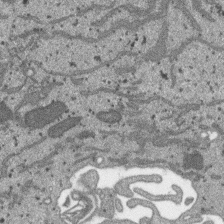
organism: Human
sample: Lung epithelial cells infected with SARS-CoV-2